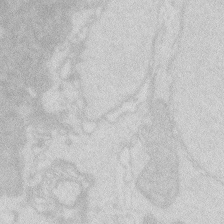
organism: Zebrafish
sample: Macrophage